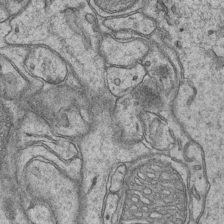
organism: Mouse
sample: CA1 Hippocampus